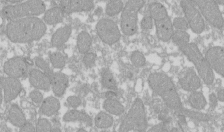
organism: Xenopus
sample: Cilia; centrioles in frog embryo cells